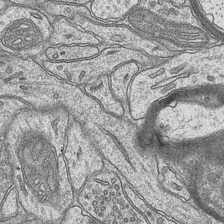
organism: Mouse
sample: CA1 Hippocampus